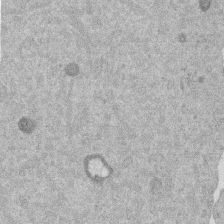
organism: Mouse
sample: Dividing mouse embryo 1 cell stage